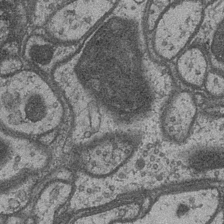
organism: Drosophila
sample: Optic medulla